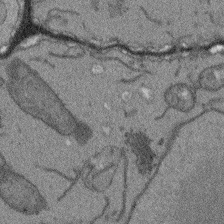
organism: Arabidopsis thaliana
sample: Root tip